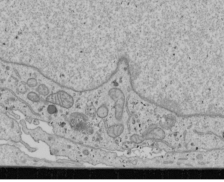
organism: Human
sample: Mitochondria in U2OS cells